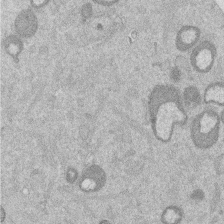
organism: Mouse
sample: Dividing mouse embryo 1 cell stage